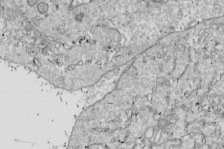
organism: Drosophila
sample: Cell division; meiosis; drosophila spermatocytes